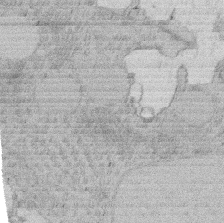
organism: Rat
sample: Salivary granule